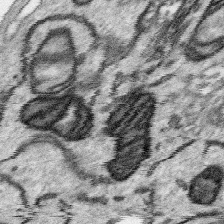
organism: Human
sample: HeLa cells